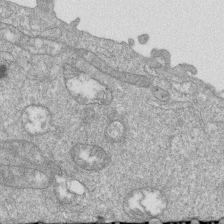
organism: Human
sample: HeLa cell HIV synapse